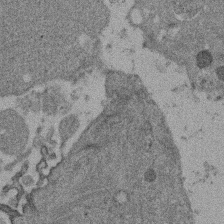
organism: Mouse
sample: Dividing mouse embryo 1 cell stage